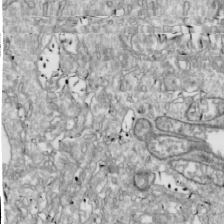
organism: Drosophila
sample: Cell division; meiosis; drosophila spermatocytes